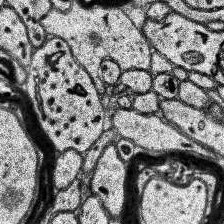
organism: Human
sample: Temporal Lobe